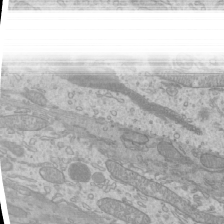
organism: Mouse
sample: Cilia; mouse epididymis